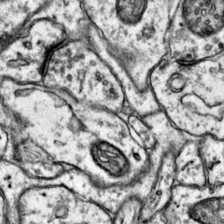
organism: Mouse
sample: Primary visual cortex